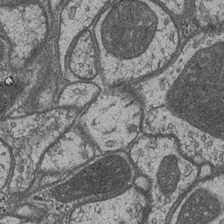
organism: Drosophila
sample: Optic medulla